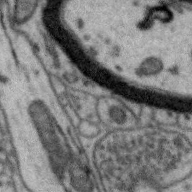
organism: Zebra finch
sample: Brain